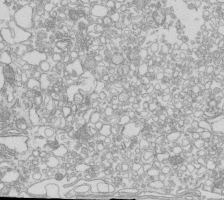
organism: Mouse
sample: Macrophages